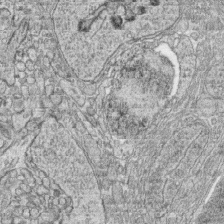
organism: Zebrafish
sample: synaptic ribbons in rod cells and cone cells